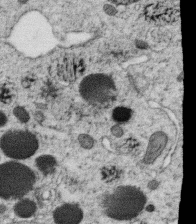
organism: C. elegans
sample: C. elegans oocyte; sperm cells